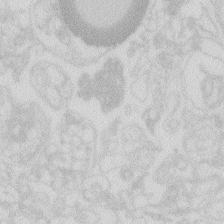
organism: Zebrafish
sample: Macrophage